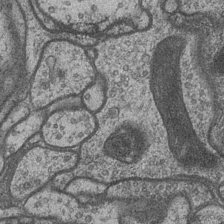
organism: Drosophila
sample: Optic medulla